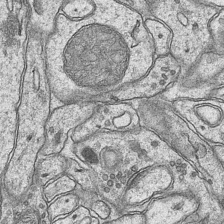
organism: Mouse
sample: CA1 Hippocampus